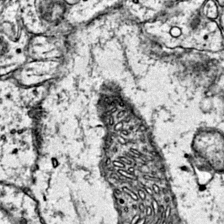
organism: Mouse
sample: Primary visual cortex